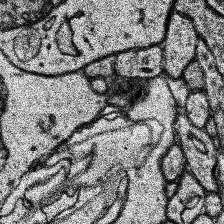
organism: Human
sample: Temporal Lobe